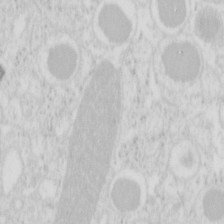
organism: Mouse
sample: Pancreas